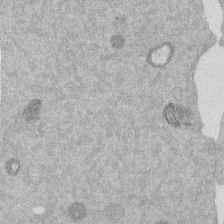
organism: Mouse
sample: Dividing mouse embryo 1 cell stage